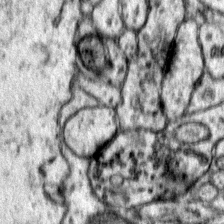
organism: Mouse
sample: Primary visual cortex